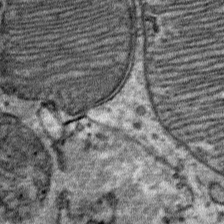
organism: Mouse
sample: Mouse Salivary gland